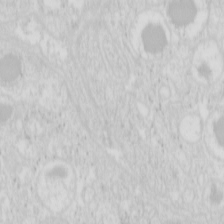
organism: Mouse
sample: Pancreas